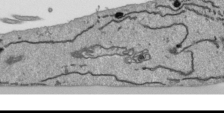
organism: Human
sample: Mitochondria in HCT116 cells